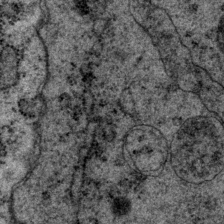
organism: P. pacificus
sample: Pharynx